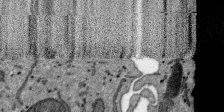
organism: Human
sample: Lung epithelial cells, uninfected (mock) control